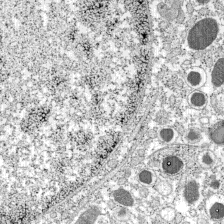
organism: C57BL Mouse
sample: Pancreatic islet